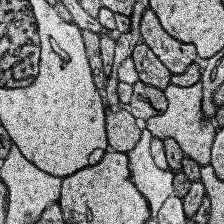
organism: Human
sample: Temporal Lobe